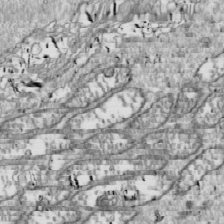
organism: Drosophila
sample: Cell division; meiosis; drosophila spermatocytes